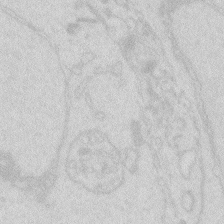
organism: Zebrafish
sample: Macrophage